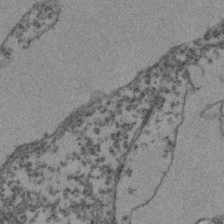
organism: Zebrafish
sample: Zebrafish embryo